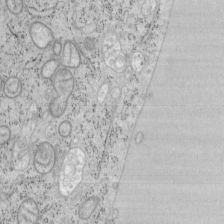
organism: Mouse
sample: OT-I killer T cells with ID8 ovarian cancer cells